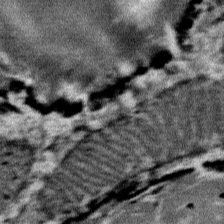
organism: Mouse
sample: Mouse Salivary gland